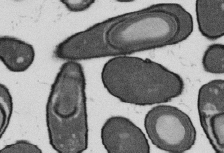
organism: B. subtilis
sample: Bacterial spore